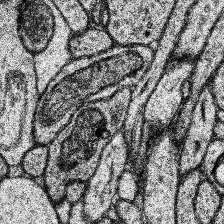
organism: Human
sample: Temporal Lobe